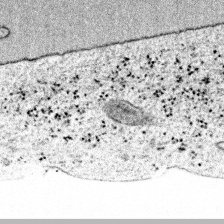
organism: Human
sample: HeLa cells